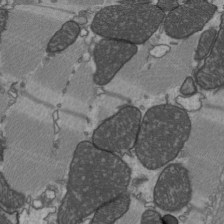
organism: C57BL Mouse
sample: Heart